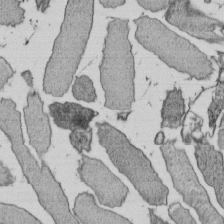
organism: E. coli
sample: Bacterial nucleoid